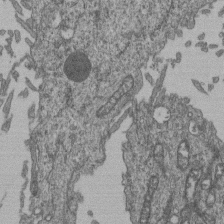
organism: Human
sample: Retinal organoid Rod and Cone cells